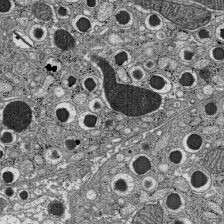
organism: C57BL Mouse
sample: Pancreatic islet